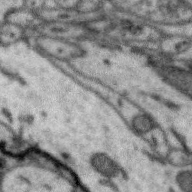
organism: Zebra finch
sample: Brain